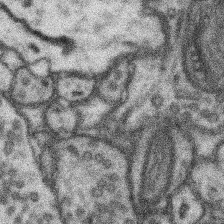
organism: Mouse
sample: Somatosensory cortex neuropil